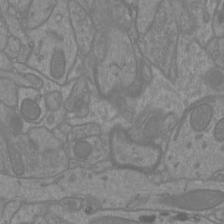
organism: Mouse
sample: Cortical neurons